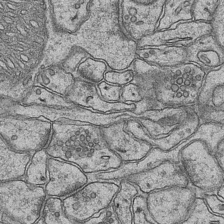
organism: Mouse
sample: CA1 Hippocampus